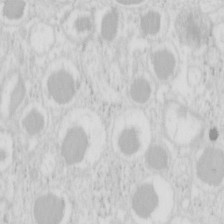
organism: Mouse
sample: Pancreas